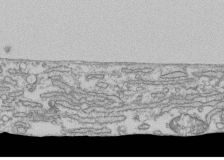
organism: Human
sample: Fibroblast cells